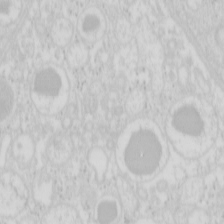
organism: Mouse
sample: Pancreas